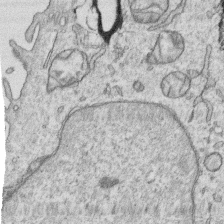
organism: Human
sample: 1205lu cells